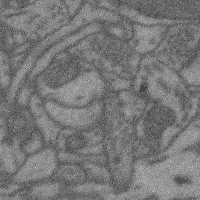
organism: Mouse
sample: Cerebral cortex